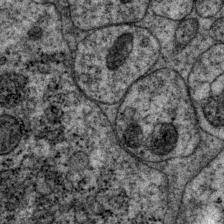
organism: P. pacificus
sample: Pharynx